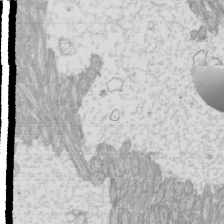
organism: Mouse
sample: Cilia; mouse epididymis